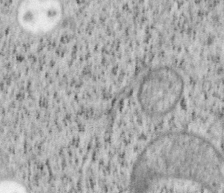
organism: Mouse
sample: OT-I killer T cells with ID8 ovarian cancer cells